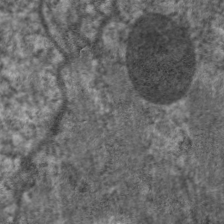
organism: C. elegans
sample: Pharynx